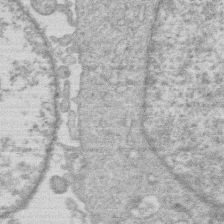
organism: Human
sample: Macrophage cells